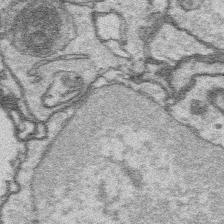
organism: Platynereis dumerilii